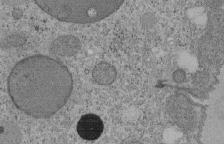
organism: Tetrahymena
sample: Cilia in tetrahymena